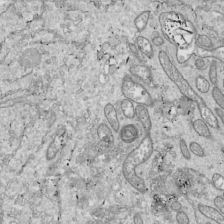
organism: Drosophila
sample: Cell division; meiosis; drosophila spermatocytes